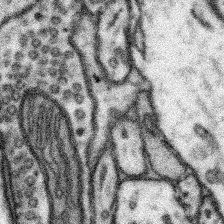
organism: Mouse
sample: Somatosensory cortex neuropil